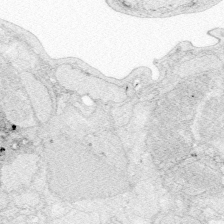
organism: Zebrafish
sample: Whole-Brain